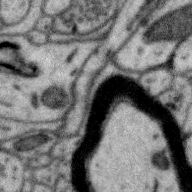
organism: Zebra finch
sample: Brain